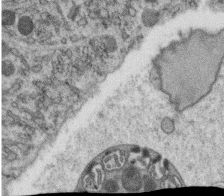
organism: C. elegans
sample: C. elegans oocyte; sperm cells